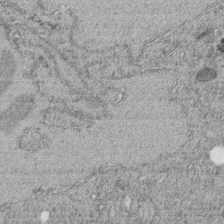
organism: C. elegans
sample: C. elegans embryo early stage